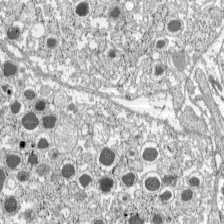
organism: C57BL Mouse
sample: Pancreatic islet